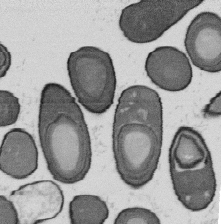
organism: B. subtilis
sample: Bacterial spore